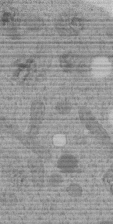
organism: C. elegans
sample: C. elegans embryo early stage